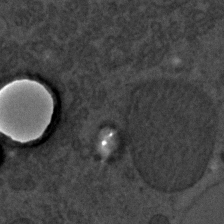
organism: C. elegans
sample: C. elegans embryo